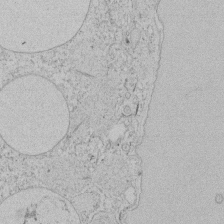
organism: Tetrahymena